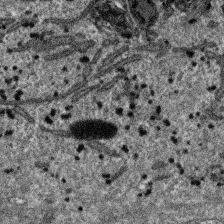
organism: Human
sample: Lung epithelial cells infected with SARS-CoV-2